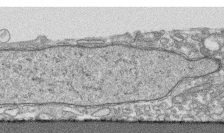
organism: Human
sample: CRL-1474